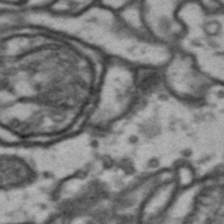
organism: Drosophila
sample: Brain